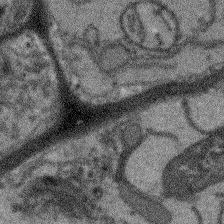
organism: Arabidopsis thaliana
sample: Root tip